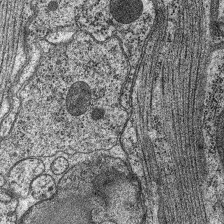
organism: C. elegans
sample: Pharynx